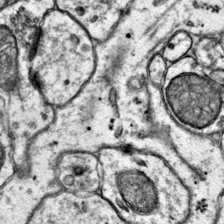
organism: Mouse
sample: Primary visual cortex